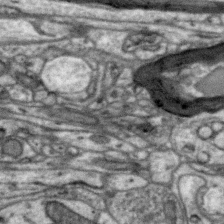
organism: Zebra finch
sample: Brain